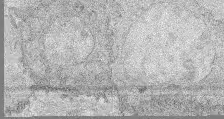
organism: Mouse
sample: Corneal nerves